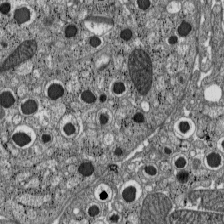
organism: C57BL Mouse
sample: Pancreatic islet